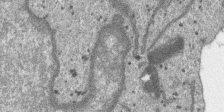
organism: Human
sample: Lung epithelial cells infected with SARS-CoV-2